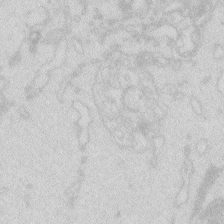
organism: Zebrafish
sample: Macrophage